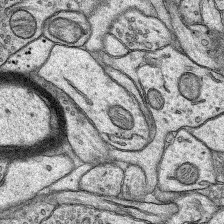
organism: Rat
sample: Hippocampus